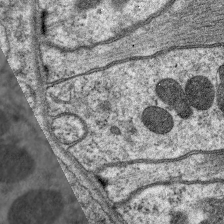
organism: C. elegans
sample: Pharynx